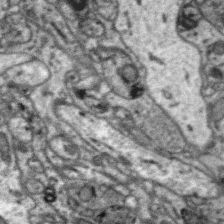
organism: Zebra finch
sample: Brain